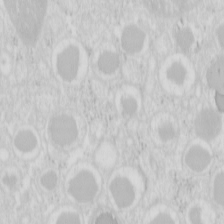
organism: Mouse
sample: Pancreas